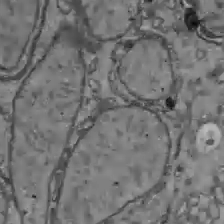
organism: C57BL Mouse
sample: Liver